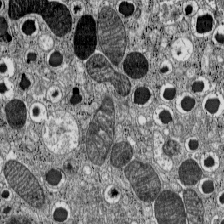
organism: C57BL Mouse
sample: Pancreatic islet